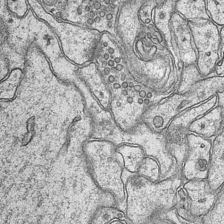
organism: Mouse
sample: CA1 Hippocampus